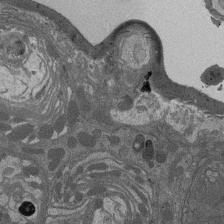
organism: Drosophila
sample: Antenna